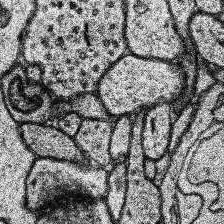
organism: Human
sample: Temporal Lobe